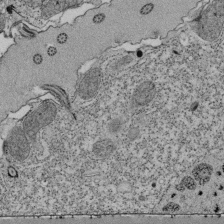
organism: Tetrahymena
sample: Cilia in tetrahymena